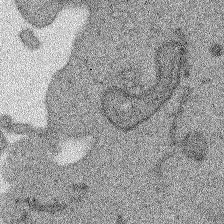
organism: Human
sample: HeLa cells